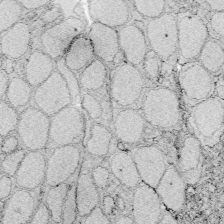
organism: Zebrafish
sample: Whole-Brain